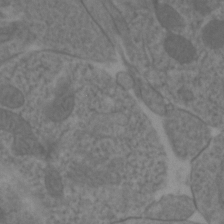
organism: Zebrafish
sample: Zebrafish embryo